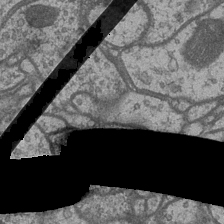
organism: Drosophila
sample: Optic medulla